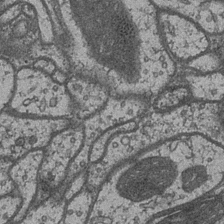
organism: Drosophila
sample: Optic medulla